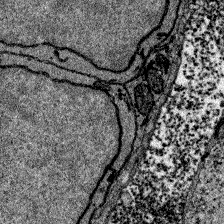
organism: Zebrafish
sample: Larval olfactory bulb